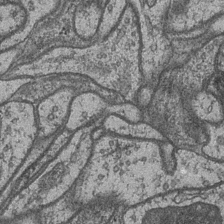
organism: Drosophila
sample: Optic medulla